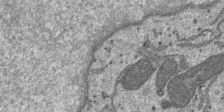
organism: Human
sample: Lung epithelial cells infected with SARS-CoV-2